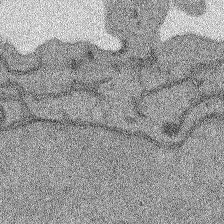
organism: Human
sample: HeLa cells